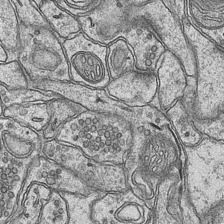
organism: Mouse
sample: CA1 Hippocampus